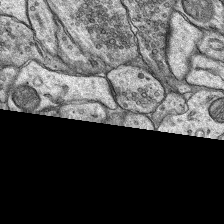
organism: Rat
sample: Hippocampus